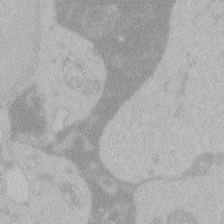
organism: Zebrafish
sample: Macrophage infected with Toxoplasma gondii